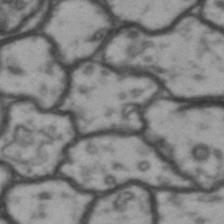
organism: Drosophila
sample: Brain